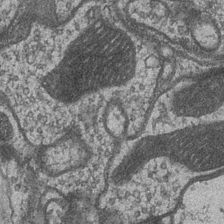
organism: Drosophila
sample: Optic medulla